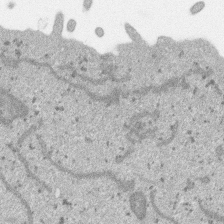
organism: Human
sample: Lung epithelial cells infected with SARS-CoV-2